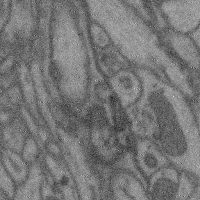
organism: Mouse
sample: Cerebral cortex